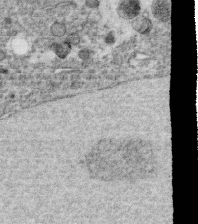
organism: C. elegans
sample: C. elegans oocyte; sperm cells